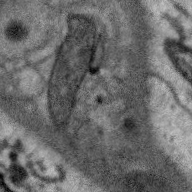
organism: Zebra finch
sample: Brain